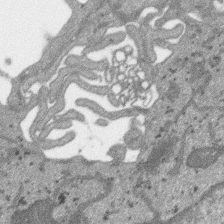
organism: Human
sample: Lung epithelial cells infected with SARS-CoV-2